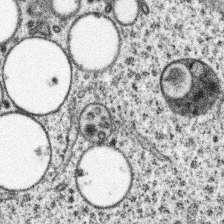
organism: Human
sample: HeLa cells